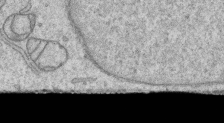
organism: Human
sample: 1205lu cells